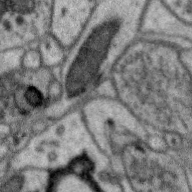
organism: Zebra finch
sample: Brain